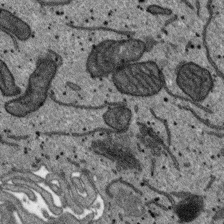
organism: Human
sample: Lung epithelial cells, uninfected (mock) control